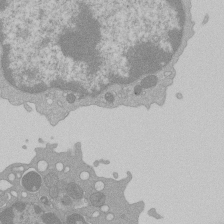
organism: Mouse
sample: Activated Pmel transgenic CD8+ T Cells